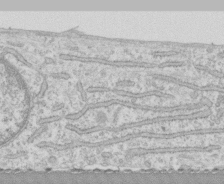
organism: Human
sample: CRL-1474